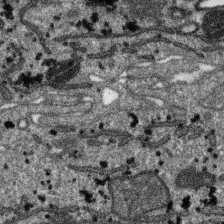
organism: Human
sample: Lung epithelial cells infected with SARS-CoV-2